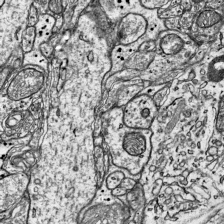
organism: Mouse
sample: Visual Cortex